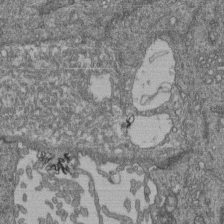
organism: Human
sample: Retinal organoid Rod and Cone cells